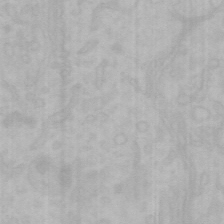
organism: Mouse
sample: Choroid plexus